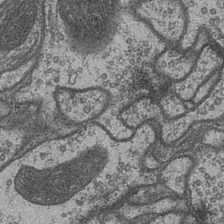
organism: Drosophila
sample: Optic medulla